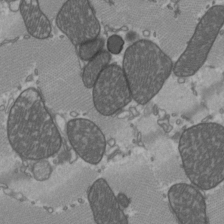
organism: C57BL Mouse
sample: Heart